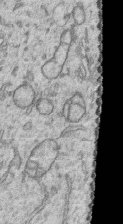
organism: Human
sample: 1205lu cells